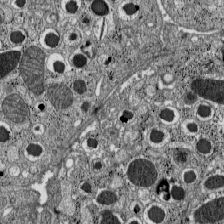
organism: C57BL Mouse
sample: Pancreatic islet